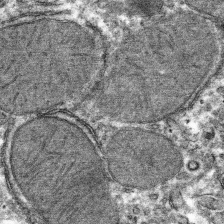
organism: Mouse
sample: Mouse hepatocytes